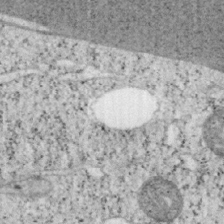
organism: Mouse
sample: OT-I killer T cells with ID8 ovarian cancer cells